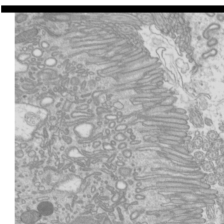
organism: Mouse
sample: Cilia; mouse epididymis